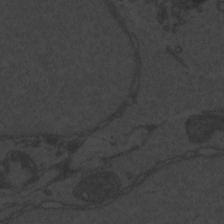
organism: Zebrafish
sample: Macrophage infected with Toxoplasma gondii